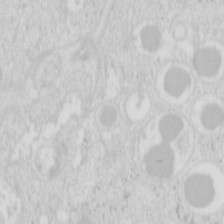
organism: Mouse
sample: Pancreas